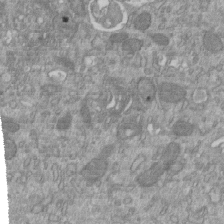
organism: Mouse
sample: ED-1 cell nuclei; centrioles